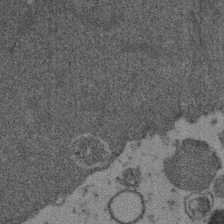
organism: Mouse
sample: Dividing mouse embryo 1 cell stage